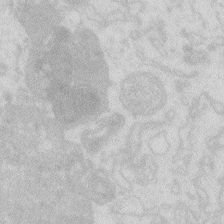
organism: Zebrafish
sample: Macrophage